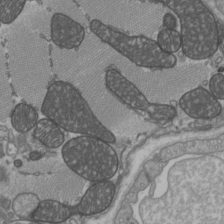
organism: C57BL Mouse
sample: Heart